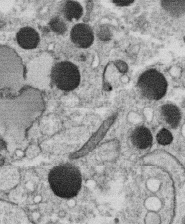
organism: C. elegans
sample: C. elegans oocyte; sperm cells